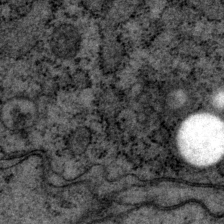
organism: P. pacificus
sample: Pharynx